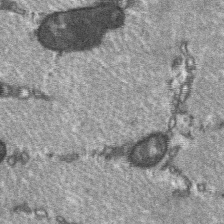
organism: C57BL Mouse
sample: Soleus